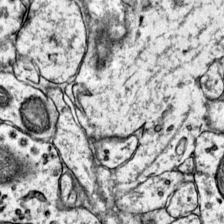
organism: Mouse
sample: Primary visual cortex